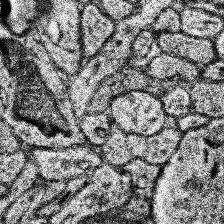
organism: Human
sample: Temporal Lobe